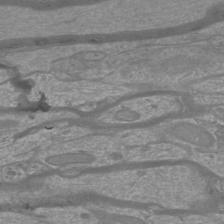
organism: Mouse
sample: Cortical neurons